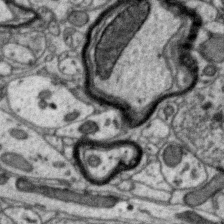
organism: Zebra finch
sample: Brain